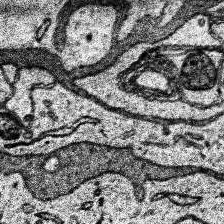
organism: Human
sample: Temporal Lobe